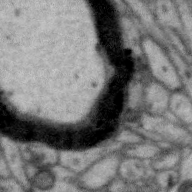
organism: Zebra finch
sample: Brain